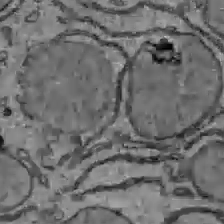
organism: C57BL Mouse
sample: Liver